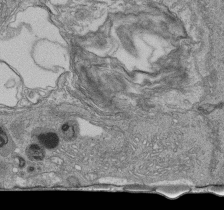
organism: Human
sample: Retinal organoid Rod and Cone cells